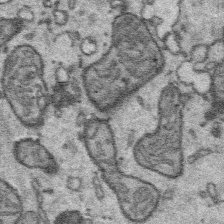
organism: Platynereis dumerilii